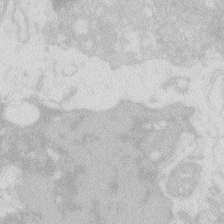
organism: Zebrafish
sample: Macrophage